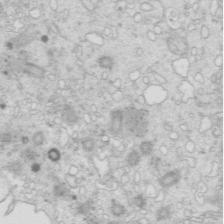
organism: Mouse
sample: Multiciliated cells